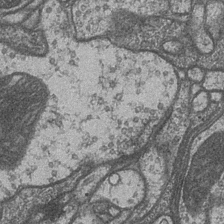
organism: Drosophila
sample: Optic medulla